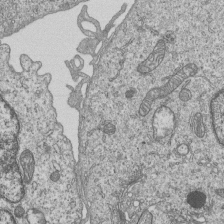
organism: Human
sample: MDA-MB-231 cells